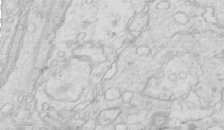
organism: Mouse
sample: Multiciliated cells